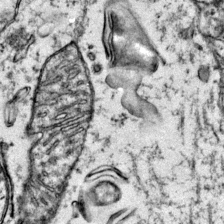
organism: Mouse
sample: Primary visual cortex